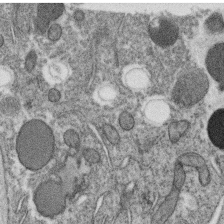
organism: C. elegans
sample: C. elegans oocyte; sperm cells